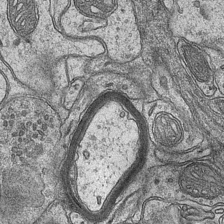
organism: Mouse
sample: CA1 Hippocampus